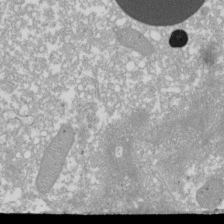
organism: Xenopus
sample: Cilia; centrioles in frog embryo cells